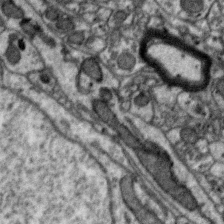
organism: Zebra finch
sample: Brain